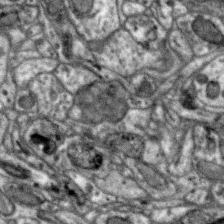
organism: Zebra finch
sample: Brain